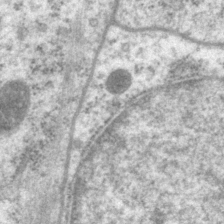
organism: P. pacificus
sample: Pharynx